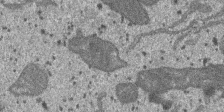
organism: Human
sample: Lung epithelial cells infected with SARS-CoV-2